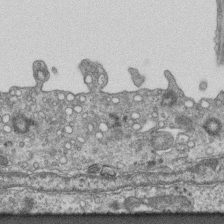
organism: Mouse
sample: Centriole in ependymal cells